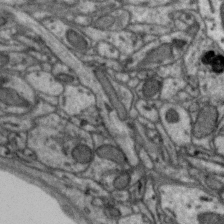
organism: Zebra finch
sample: Brain